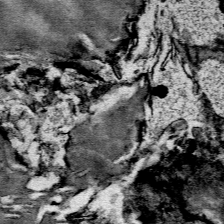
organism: Mouse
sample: Mouse Salivary gland